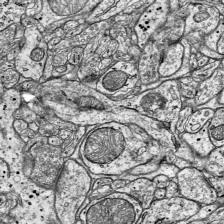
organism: Mouse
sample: Visual Cortex